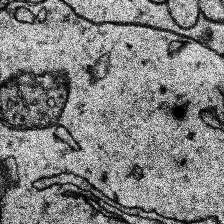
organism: Human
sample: Temporal Lobe